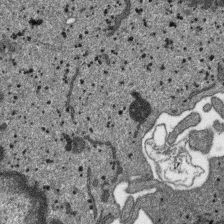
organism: Human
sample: Lung epithelial cells infected with SARS-CoV-2